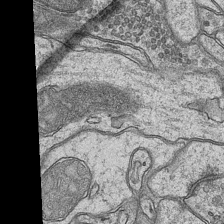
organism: Mouse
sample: CA1 Hippocampus